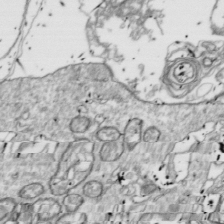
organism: Drosophila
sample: Cell division; meiosis; drosophila spermatocytes